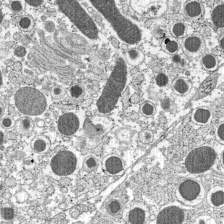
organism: C57BL Mouse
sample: Pancreatic islet